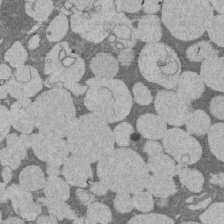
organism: Rat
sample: Salivary granule